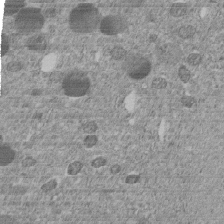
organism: C. elegans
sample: C. elegans embryo early stage